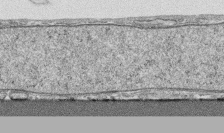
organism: Human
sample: CRL-1474